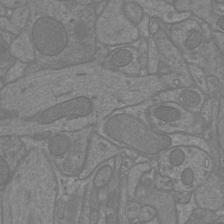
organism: Mouse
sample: Cortical neurons